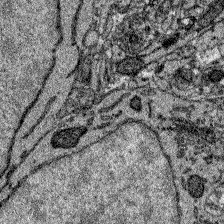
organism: Zebrafish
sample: Larval olfactory bulb